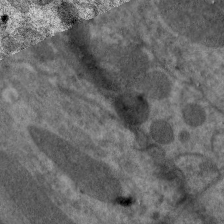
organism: C. elegans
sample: Pharynx